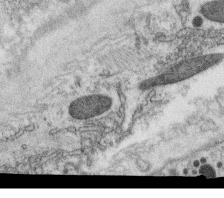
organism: C. elegans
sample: C. elegans oocyte; sperm cells